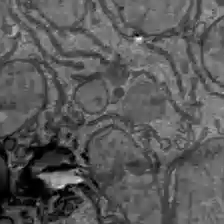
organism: C57BL Mouse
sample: Liver